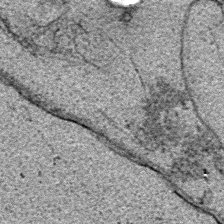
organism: E. coli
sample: E. Coli Bacteria